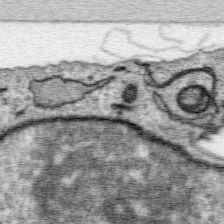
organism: Human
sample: HeLa cells